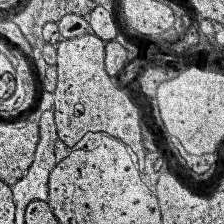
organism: Human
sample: Temporal Lobe